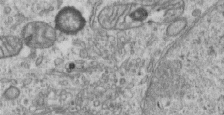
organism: Human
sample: Centriole in RPE cells